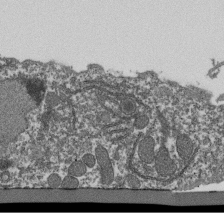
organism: Dictyostelium discoideum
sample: Dictyostelium multivesicular bodies